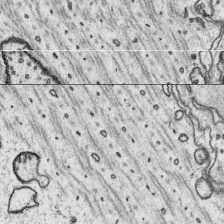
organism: Platynereis dumerilii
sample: Parapodia